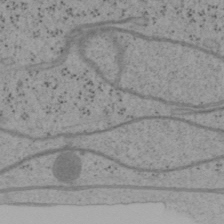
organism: Human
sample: HeLa cells